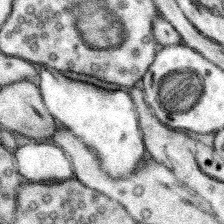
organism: Mouse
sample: Somatosensory cortex neuropil